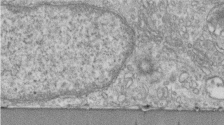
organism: Human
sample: Centriole in fibroblast cells